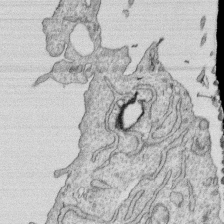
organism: Human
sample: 1205lu cells